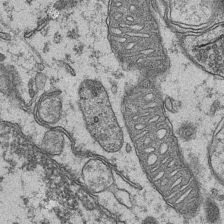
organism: Mouse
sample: CA1 Hippocampus